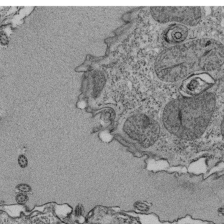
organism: Tetrahymena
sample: Cilia in tetrahymena